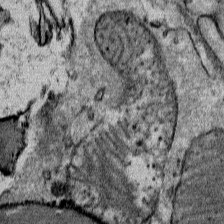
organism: Mouse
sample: Mouse Salivary gland